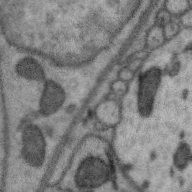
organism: Zebra finch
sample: Brain